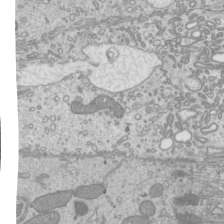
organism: Mouse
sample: Cilia; mouse epididymis